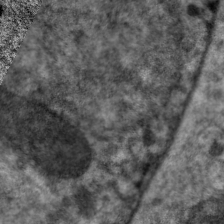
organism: C. elegans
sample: Pharynx